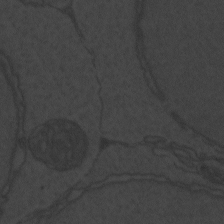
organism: Zebrafish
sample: Macrophage infected with Toxoplasma gondii